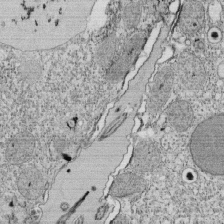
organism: Tetrahymena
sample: Cilia in tetrahymena